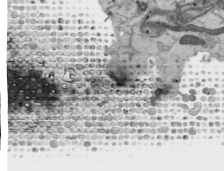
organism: Human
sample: Mitochondria in HCT116 cells